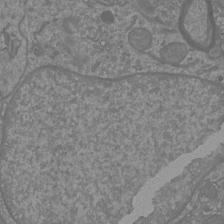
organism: Mouse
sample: Cortical neurons